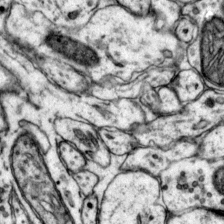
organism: Mouse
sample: Primary visual cortex